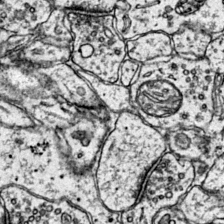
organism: Mouse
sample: Primary visual cortex